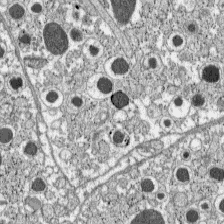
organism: C57BL Mouse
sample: Pancreatic islet